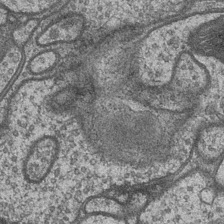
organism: Drosophila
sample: Optic medulla